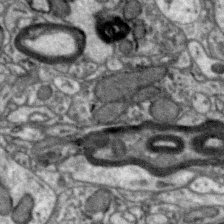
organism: Zebra finch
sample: Brain